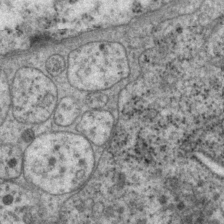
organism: P. pacificus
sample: Pharynx